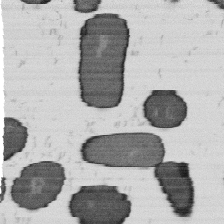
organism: B. subtilis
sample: Bacterial spore